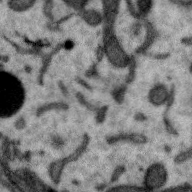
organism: Zebra finch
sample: Brain